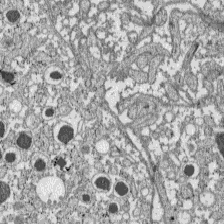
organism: C57BL Mouse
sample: Pancreatic islet